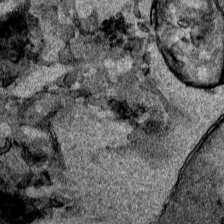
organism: Human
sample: Mitochondria in HCT116 cells